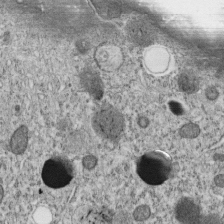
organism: C. elegans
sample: C. elegans embryo early stage